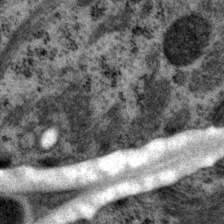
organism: P. pacificus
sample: Pharynx